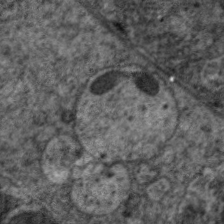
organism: C. elegans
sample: Pharynx